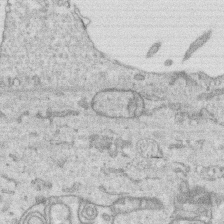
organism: Human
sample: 1205lu cells